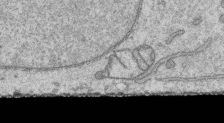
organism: Human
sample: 1205lu cells